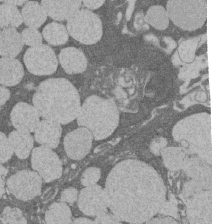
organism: Rat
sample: Salivary granule